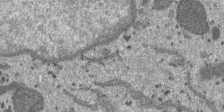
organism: Human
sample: Lung epithelial cells infected with SARS-CoV-2